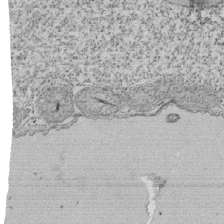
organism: Tetrahymena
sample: Cilia in tetrahymena